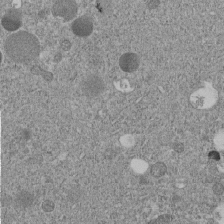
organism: C. elegans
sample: C. elegans embryo early stage